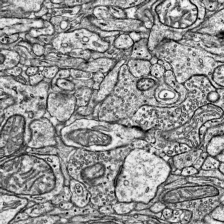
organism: Mouse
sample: Visual Cortex